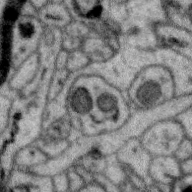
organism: Zebra finch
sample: Brain